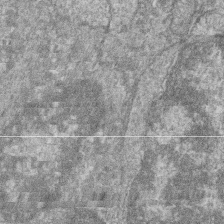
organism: Zebrafish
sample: Cilia; retinal pigment epithelium